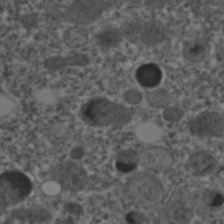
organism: C. elegans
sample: C. elegans embryo